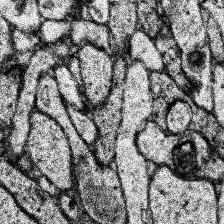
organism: Human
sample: Temporal Lobe